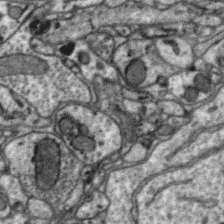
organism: Zebra finch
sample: Brain